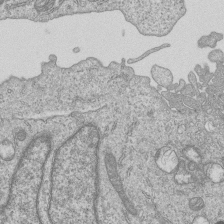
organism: Human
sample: MDA-MB-231 cells